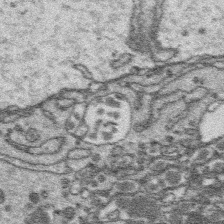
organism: Platynereis dumerilii